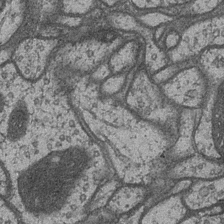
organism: Drosophila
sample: Optic medulla